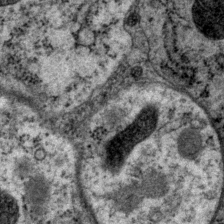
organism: P. pacificus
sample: Pharynx